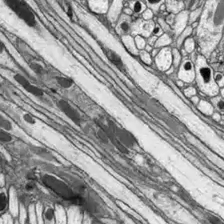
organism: Drosophila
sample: Optic lobe